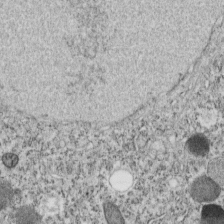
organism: C. elegans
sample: C. elegans embryo early stage